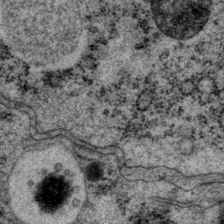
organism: P. pacificus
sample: Pharynx